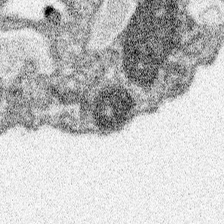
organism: Spongilla lacustris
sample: Neuroid cell